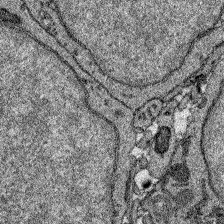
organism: Zebrafish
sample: Larval olfactory bulb